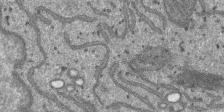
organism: Human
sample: Lung epithelial cells infected with SARS-CoV-2